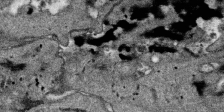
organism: Human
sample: Lung epithelial cells, uninfected (mock) control